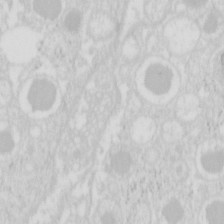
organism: Mouse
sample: Pancreas